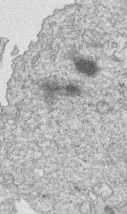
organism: Human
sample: HeLa cell HIV synapse